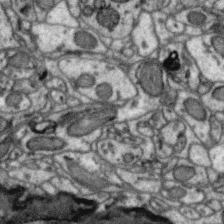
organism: Zebra finch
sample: Brain